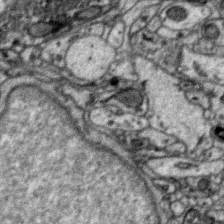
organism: Zebra finch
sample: Brain